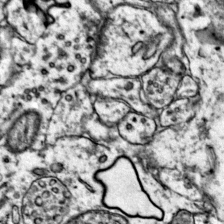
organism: Mouse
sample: Primary visual cortex